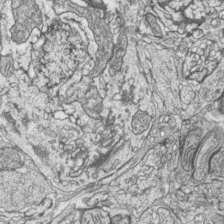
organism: Zebrafish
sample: synaptic ribbons in rod cells and cone cells